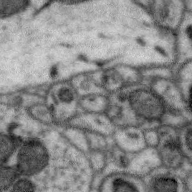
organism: Zebra finch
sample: Brain